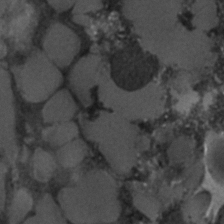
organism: C. elegans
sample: C. elegans embryo